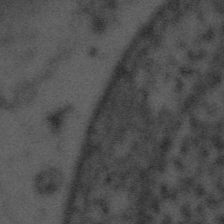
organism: Tuwongella immobilis